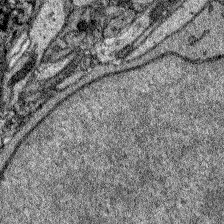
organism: Zebrafish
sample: Larval olfactory bulb